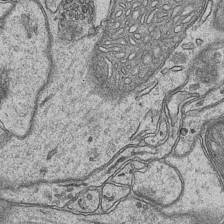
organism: Mouse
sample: CA1 Hippocampus